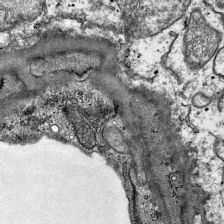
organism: Mouse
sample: Visual Cortex